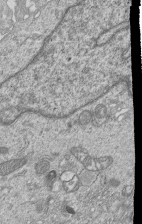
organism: Human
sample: MDA-MB-231 cells